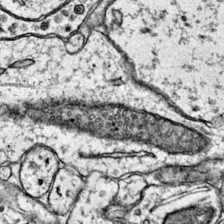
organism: Mouse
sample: Primary visual cortex